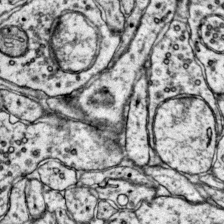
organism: Mouse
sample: Primary visual cortex